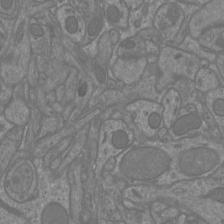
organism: Mouse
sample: Cortical neurons